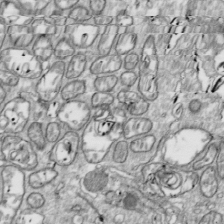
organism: Drosophila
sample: Cell division; meiosis; drosophila spermatocytes